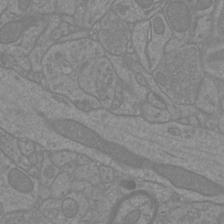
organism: Mouse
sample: Cortical neurons